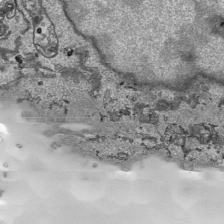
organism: Human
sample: Mitochondria in HCT116 cells